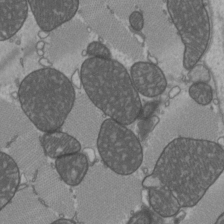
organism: C57BL Mouse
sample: Heart